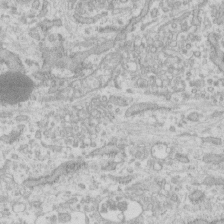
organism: Human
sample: Fibroblast cells